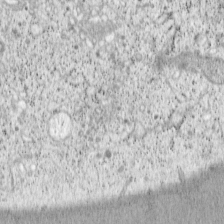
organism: African green monkey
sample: COS-7 cells